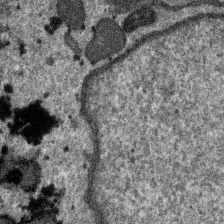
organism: Human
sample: Lung epithelial cells infected with SARS-CoV-2